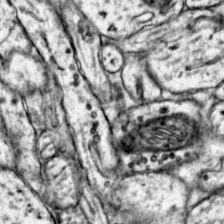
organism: Mouse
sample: Primary visual cortex